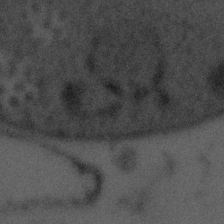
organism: Tuwongella immobilis